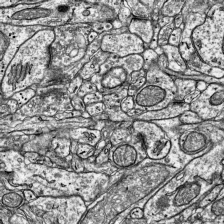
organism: Mouse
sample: Visual Cortex